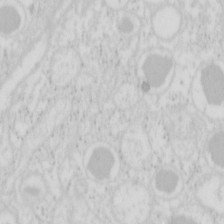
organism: Mouse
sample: Pancreas